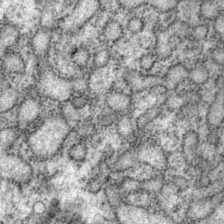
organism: P. pacificus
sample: Pharynx